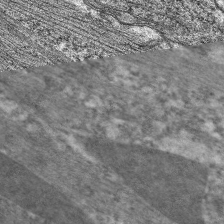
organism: C. elegans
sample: Pharynx